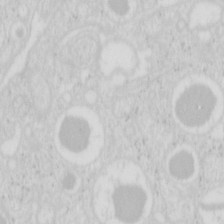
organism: Mouse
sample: Pancreas